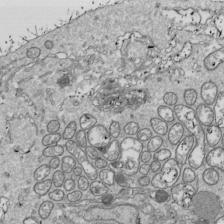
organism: Drosophila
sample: Cell division; meiosis; drosophila spermatocytes